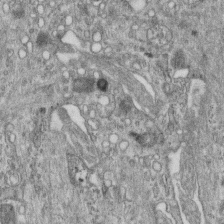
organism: Mouse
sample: Centriole in ependymal cells